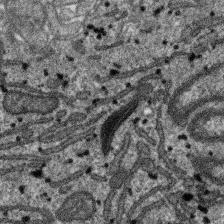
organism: Human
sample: Lung epithelial cells infected with SARS-CoV-2